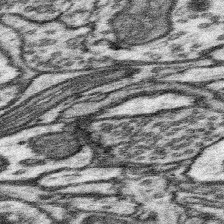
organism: Mouse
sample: Somatosensory cortex neuropil